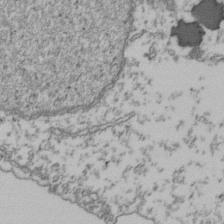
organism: Human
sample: Activated Jurkat CD4+ T cells